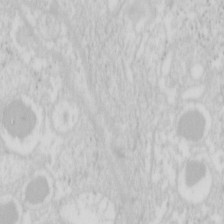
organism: Mouse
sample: Pancreas